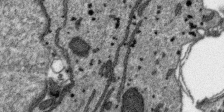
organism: Human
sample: Lung epithelial cells, uninfected (mock) control